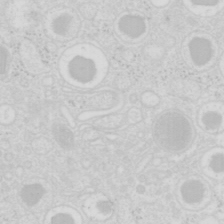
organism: Mouse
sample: Pancreas